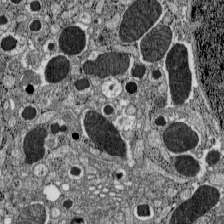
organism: C57BL Mouse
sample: Pancreatic islet